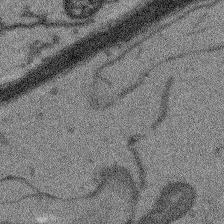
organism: Arabidopsis thaliana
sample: Root tip